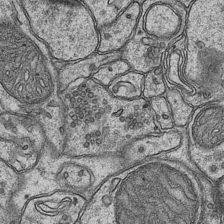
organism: Mouse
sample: CA1 Hippocampus